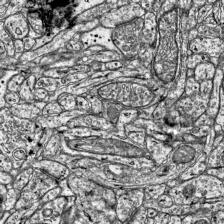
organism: Mouse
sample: Visual Cortex